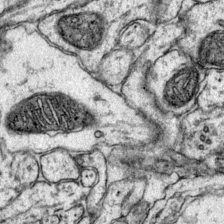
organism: Mouse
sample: Primary visual cortex